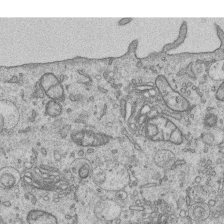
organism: Human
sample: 1205lu cells